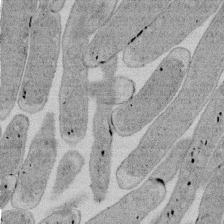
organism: E. coli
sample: Bacterial nucleoid